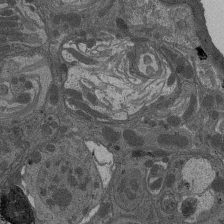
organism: Drosophila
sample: Antenna